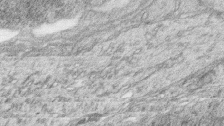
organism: Zebrafish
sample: synaptic ribbons in rod cells and cone cells